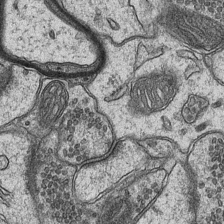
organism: Mouse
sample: CA1 Hippocampus